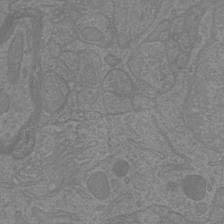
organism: Mouse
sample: Cortical neurons